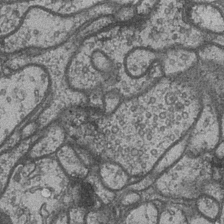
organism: Drosophila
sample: Optic medulla